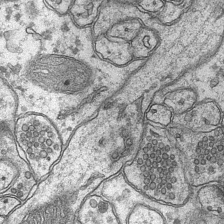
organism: Mouse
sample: CA1 Hippocampus